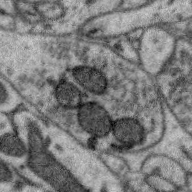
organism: Zebra finch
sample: Brain